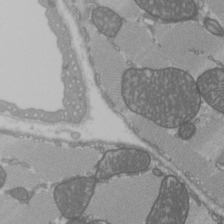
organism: C57BL Mouse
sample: Heart